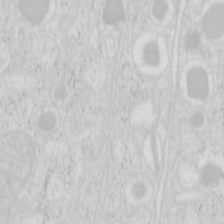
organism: Mouse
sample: Pancreas